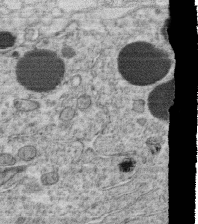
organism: C. elegans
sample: C. elegans oocyte; sperm cells